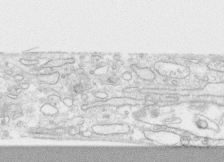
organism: Human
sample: CRL-1474